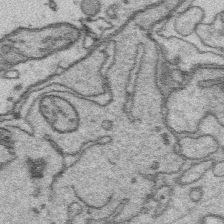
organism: Platynereis dumerilii